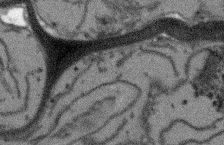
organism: Arabidopsis thaliana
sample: Root tip